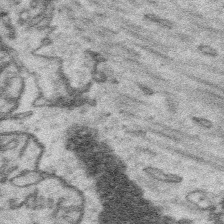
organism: Platynereis dumerilii